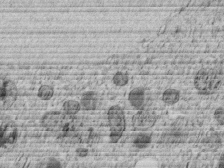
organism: C. elegans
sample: C. elegans embryo early stage